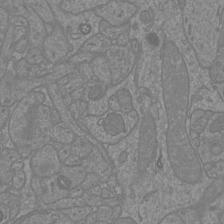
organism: Mouse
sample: Cortical neurons